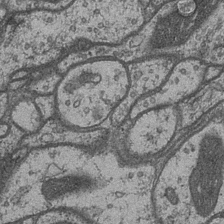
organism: Drosophila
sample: Optic medulla